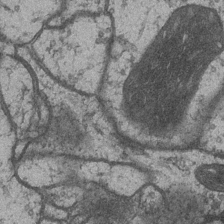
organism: Drosophila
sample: Optic medulla